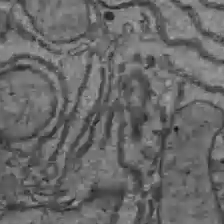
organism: C57BL Mouse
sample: Liver